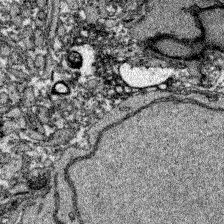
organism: Zebrafish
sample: Larval olfactory bulb